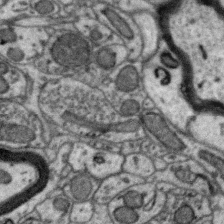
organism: Zebra finch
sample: Brain